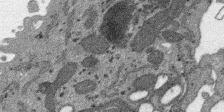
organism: Human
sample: Lung epithelial cells infected with SARS-CoV-2